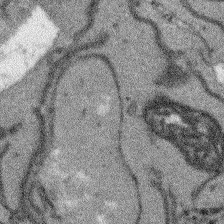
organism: Arabidopsis thaliana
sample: Root tip